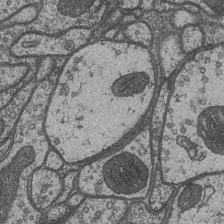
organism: Drosophila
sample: Optic medulla